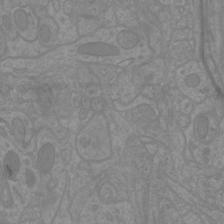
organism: Mouse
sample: Cortical neurons